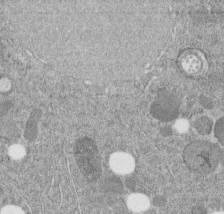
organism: C. elegans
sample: C. elegans embryo early stage